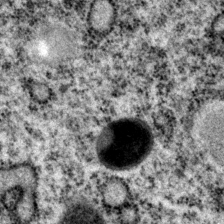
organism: P. pacificus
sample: Pharynx